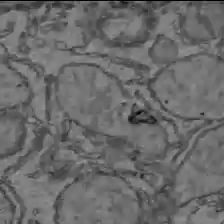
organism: C57BL Mouse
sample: Liver